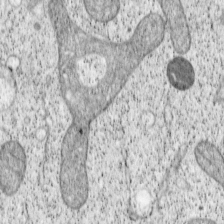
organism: African green monkey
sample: COS-7 cells